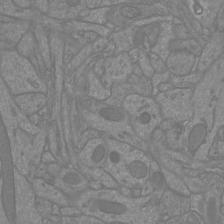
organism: Mouse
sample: Cortical neurons